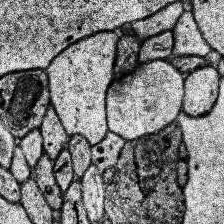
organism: Human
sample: Temporal Lobe